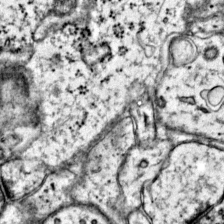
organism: Mouse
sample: Primary visual cortex